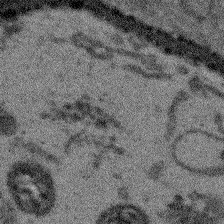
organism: Arabidopsis thaliana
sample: Root tip